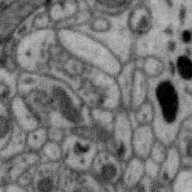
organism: Zebra finch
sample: Brain